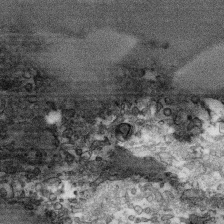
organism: Human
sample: CRL-1474